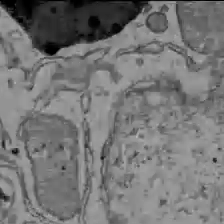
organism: C57BL Mouse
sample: Liver